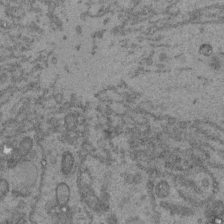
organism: C. elegans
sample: C. elegans embryo early stage